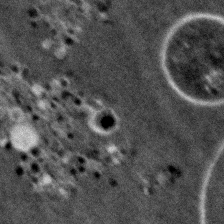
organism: Zebrafish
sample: Zebrafish embryo